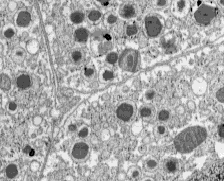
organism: C57BL Mouse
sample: Pancreatic islet